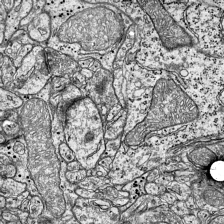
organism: Mouse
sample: Visual Cortex